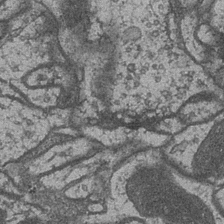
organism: Drosophila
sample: Optic medulla